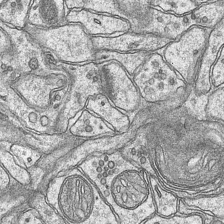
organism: Mouse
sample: CA1 Hippocampus